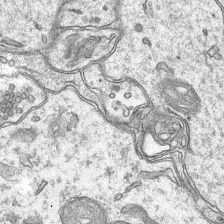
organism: Mouse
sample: CA1 Hippocampus